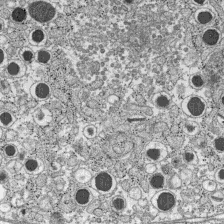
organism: C57BL Mouse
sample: Pancreatic islet